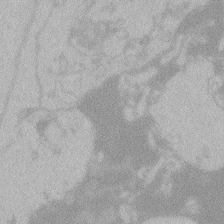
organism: Zebrafish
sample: Macrophage infected with Toxoplasma gondii